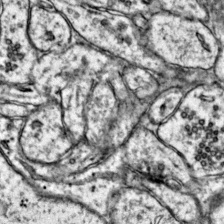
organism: Mouse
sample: Primary visual cortex